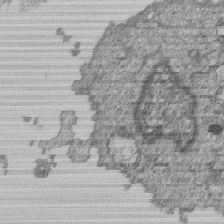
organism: Human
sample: MDA-MB-231 cells